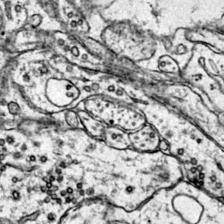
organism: Mouse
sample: Primary visual cortex